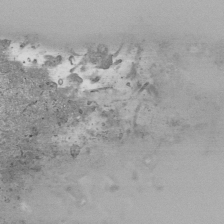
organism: Human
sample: Mitochondria in HCT116 cells